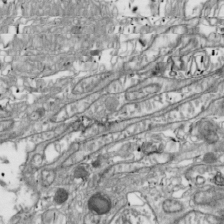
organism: Drosophila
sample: Cell division; meiosis; drosophila spermatocytes